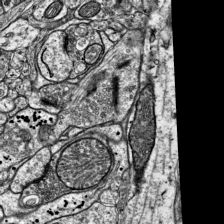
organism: Mouse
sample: Visual Cortex